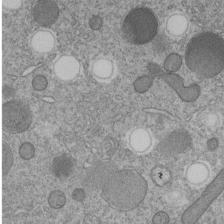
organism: C. elegans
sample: C. elegans embryo early stage